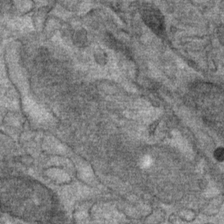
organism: Mouse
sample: Mouse Salivary gland